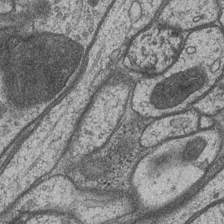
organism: Drosophila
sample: Optic medulla